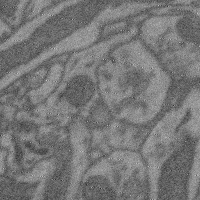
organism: Mouse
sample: Cerebral cortex